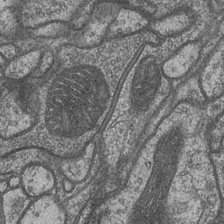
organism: Drosophila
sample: Optic medulla